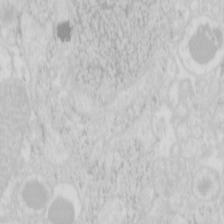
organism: Mouse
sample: Pancreas